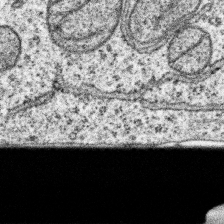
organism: Human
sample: HeLa cells